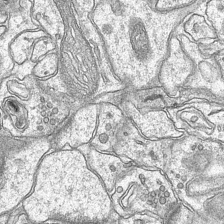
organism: Mouse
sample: CA1 Hippocampus